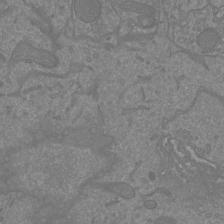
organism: Mouse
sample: Cortical neurons